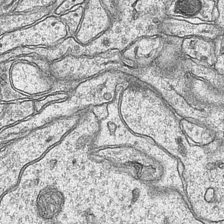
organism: Mouse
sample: CA1 Hippocampus